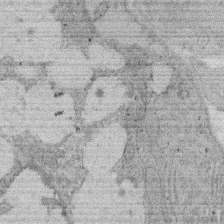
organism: Rat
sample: Salivary granule